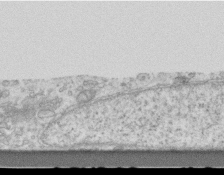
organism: Mouse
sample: Centriole in ependymal cells